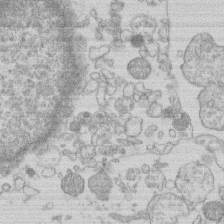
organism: Human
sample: Macrophage cells